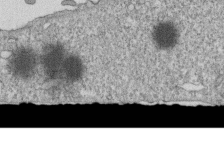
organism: Human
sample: HeLa cell HIV synapse